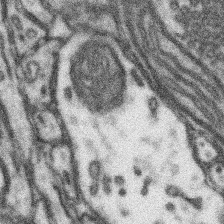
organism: Mouse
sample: Somatosensory cortex neuropil